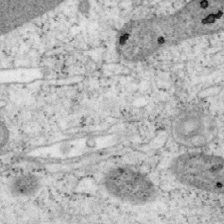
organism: Mouse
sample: OT-I killer T cells with ID8 ovarian cancer cells